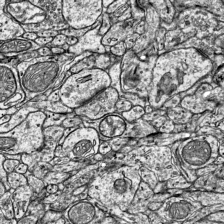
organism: Mouse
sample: Visual Cortex